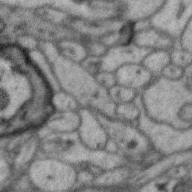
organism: Zebra finch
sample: Brain